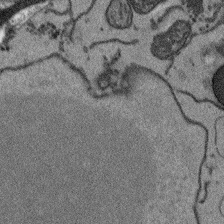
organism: Arabidopsis thaliana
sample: Root tip